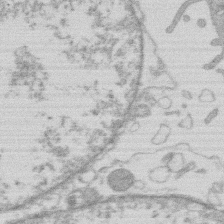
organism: Human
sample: Macrophage cells